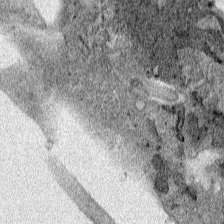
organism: Human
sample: Mitochondria in HCT116 cells